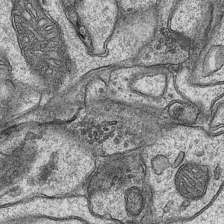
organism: Mouse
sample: CA1 Hippocampus